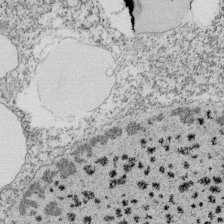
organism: Tetrahymena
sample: Cilia in tetrahymena